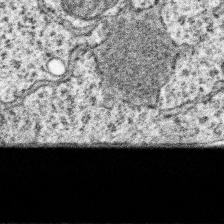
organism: Human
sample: HeLa cells